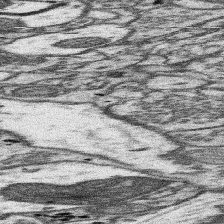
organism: Mouse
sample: Somatosensory cortex neuropil